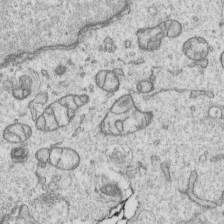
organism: Human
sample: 1205lu cells